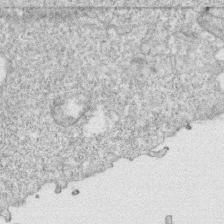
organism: Human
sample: HeLa cell HIV synapse